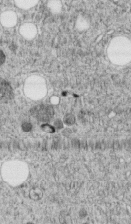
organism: C. elegans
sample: C. elegans embryo early stage